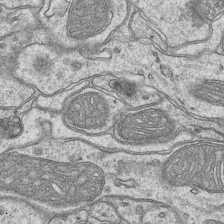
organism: Mouse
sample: CA1 Hippocampus